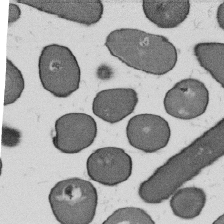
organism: B. subtilis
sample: Bacterial spore